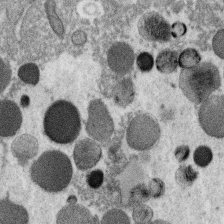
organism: C. elegans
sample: C. elegans oocyte; sperm cells